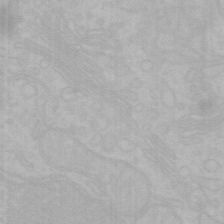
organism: Mouse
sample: Choroid plexus